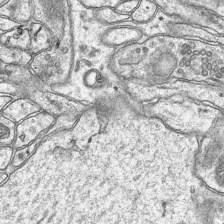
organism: Mouse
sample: CA1 Hippocampus